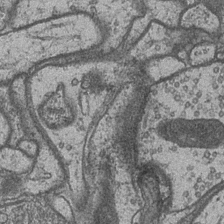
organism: Drosophila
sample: Optic medulla